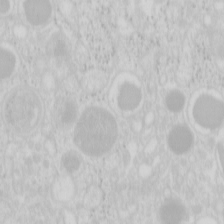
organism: Mouse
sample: Pancreas